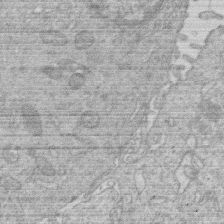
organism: Human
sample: Macrophage cells